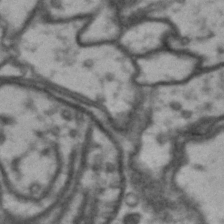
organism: Drosophila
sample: Brain